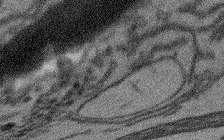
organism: Arabidopsis thaliana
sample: Root tip